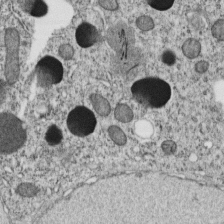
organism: C. elegans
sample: C. elegans embryo early stage